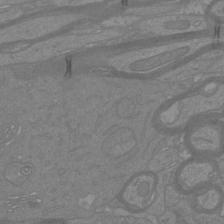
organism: Mouse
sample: Cortical neurons